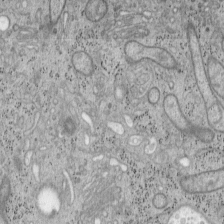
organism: Mouse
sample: OT-I killer T cells with ID8 ovarian cancer cells